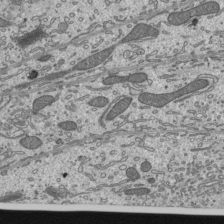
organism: Mouse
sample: Mouse epididymis efferent ductule cilia